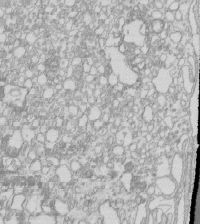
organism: Mouse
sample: Macrophages